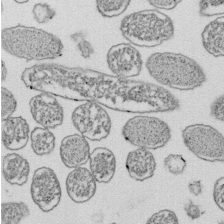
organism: E. coli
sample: Bacterial nucleoid